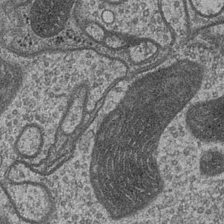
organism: Drosophila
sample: Optic medulla